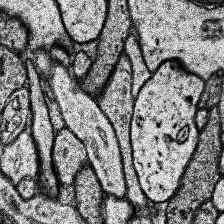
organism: Human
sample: Temporal Lobe